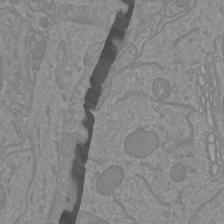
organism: Mouse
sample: Cortical neurons